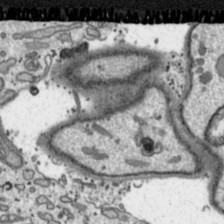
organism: Toxoplasma gondii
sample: Parasites in a vacuole inside a host cell